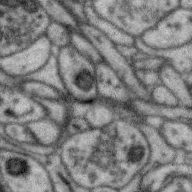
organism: Zebra finch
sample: Brain